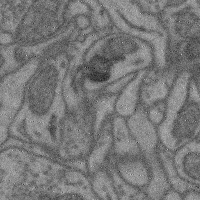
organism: Mouse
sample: Cerebral cortex